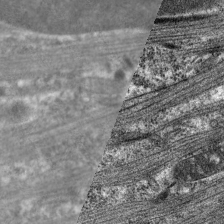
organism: C. elegans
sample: Pharynx